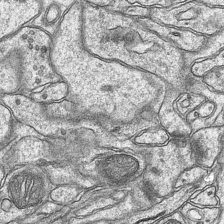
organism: Mouse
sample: CA1 Hippocampus